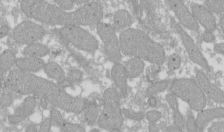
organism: Xenopus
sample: Cilia; centrioles in frog embryo cells